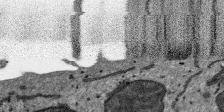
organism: Human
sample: Lung epithelial cells, uninfected (mock) control